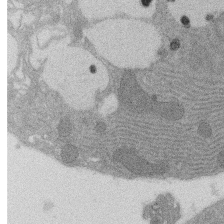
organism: Rat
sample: Salivary granule